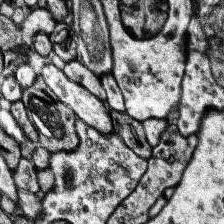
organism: Human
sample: Temporal Lobe